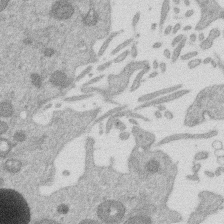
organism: Mouse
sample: Dividing mouse embryo 1 cell stage